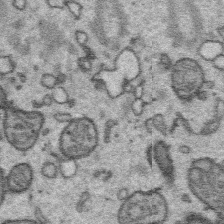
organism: Platynereis dumerilii